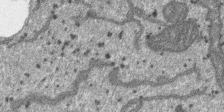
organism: Human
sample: Lung epithelial cells infected with SARS-CoV-2